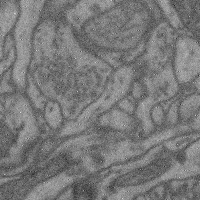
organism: Mouse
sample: Cerebral cortex